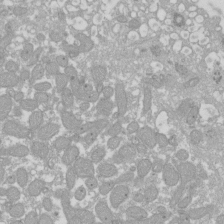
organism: Xenopus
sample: Cilia; centrioles in frog embryo cells